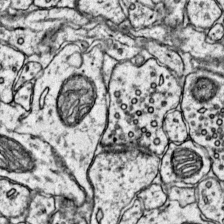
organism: Mouse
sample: Primary visual cortex